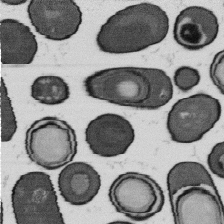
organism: B. subtilis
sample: Bacterial spore